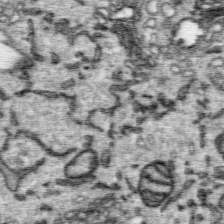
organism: Human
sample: HeLa cells